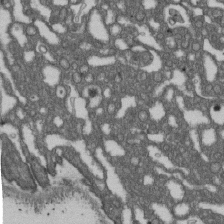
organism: Drosophila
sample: Nephrocyte